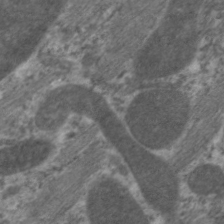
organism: C. elegans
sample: Pharynx